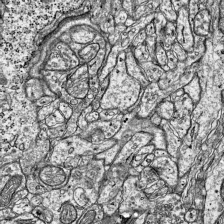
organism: Mouse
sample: Visual Cortex